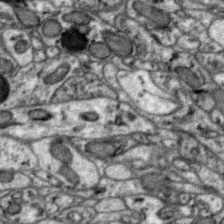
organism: Zebra finch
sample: Brain